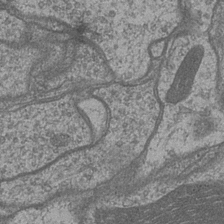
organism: Drosophila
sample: Optic medulla